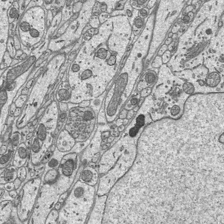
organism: Mouse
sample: Suprachiasmatic nucleus